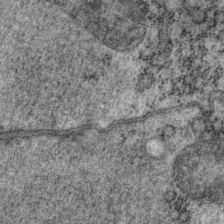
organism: P. pacificus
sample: Pharynx